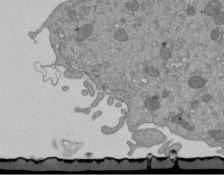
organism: Mouse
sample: ED-1 cell nuclei; centrioles